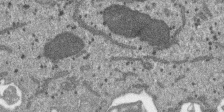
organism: Human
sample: Lung epithelial cells infected with SARS-CoV-2